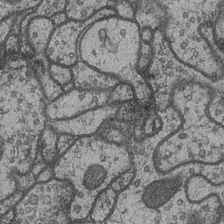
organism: Drosophila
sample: Optic medulla